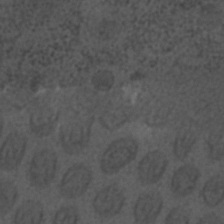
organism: C. elegans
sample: C. elegans embryo